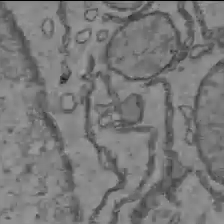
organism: C57BL Mouse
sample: Liver